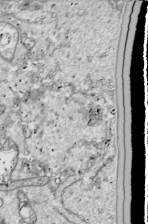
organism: Drosophila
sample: Cell division; meiosis; drosophila spermatocytes